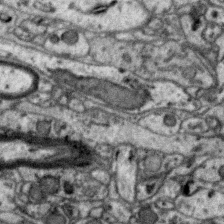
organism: Zebra finch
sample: Brain